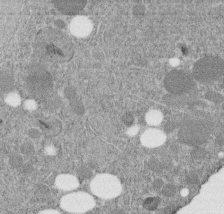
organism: C. elegans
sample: C. elegans embryo early stage